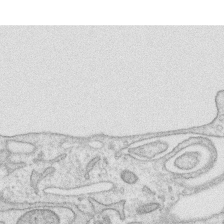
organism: Human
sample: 1205lu cells